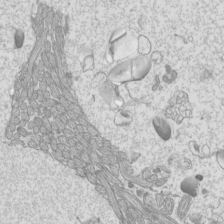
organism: Mouse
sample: Cilia; mouse epididymis